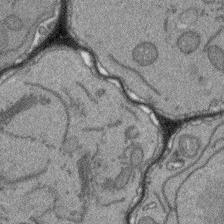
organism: Arabidopsis thaliana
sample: Root tip